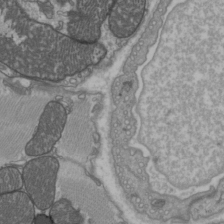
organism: C57BL Mouse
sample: Heart